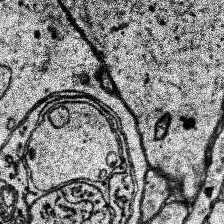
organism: Human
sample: Temporal Lobe